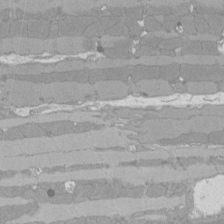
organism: Rat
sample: Left ventricle